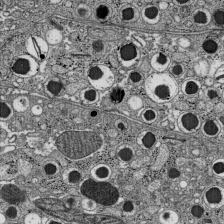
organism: C57BL Mouse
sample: Pancreatic islet